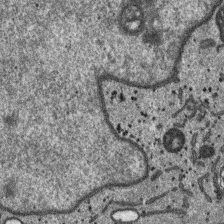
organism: Human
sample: Lung epithelial cells infected with SARS-CoV-2